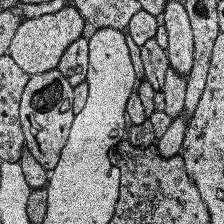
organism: Human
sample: Temporal Lobe